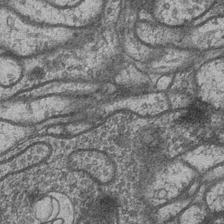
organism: Drosophila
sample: Optic medulla